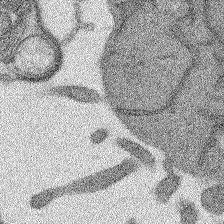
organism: Human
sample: HeLa cells